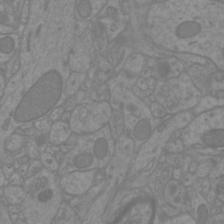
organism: Mouse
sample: Cortical neurons